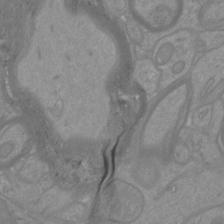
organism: Mouse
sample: Cortical neurons